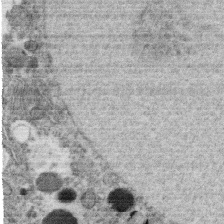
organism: C. elegans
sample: C. elegans oocyte; sperm cells